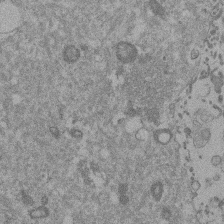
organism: Mouse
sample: Dividing mouse embryo 1 cell stage